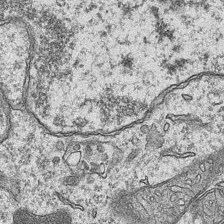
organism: Mouse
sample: CA1 Hippocampus